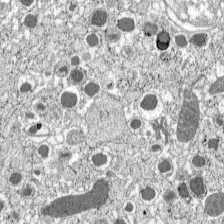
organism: C57BL Mouse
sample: Pancreatic islet